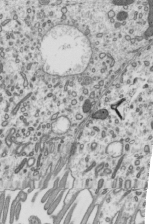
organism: Mouse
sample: Mouse epididymis efferent ductule cilia